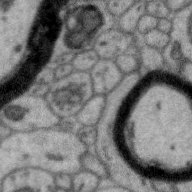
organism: Zebra finch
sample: Brain